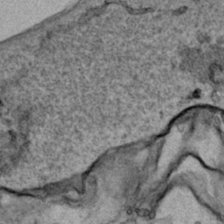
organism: Human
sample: Mitochondria in HCT116 cells